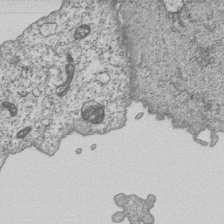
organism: Human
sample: MDA-MB-231 cells